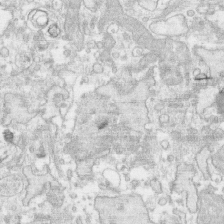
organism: Human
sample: CRL-1474